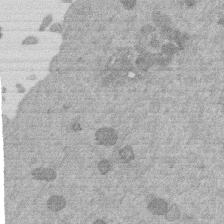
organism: Mouse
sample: Dividing mouse embryo 1 cell stage